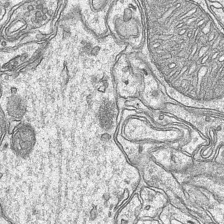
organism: Mouse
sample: CA1 Hippocampus